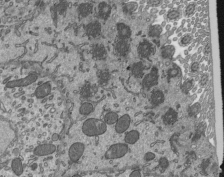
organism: Mouse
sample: Mouse epididymis efferent ductule cilia